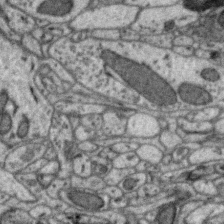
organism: Zebra finch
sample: Brain